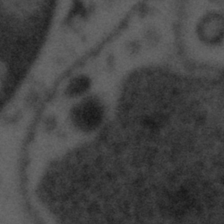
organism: Tuwongella immobilis